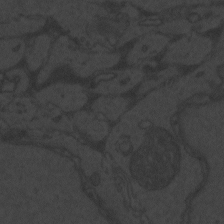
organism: Zebrafish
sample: Macrophage infected with Toxoplasma gondii